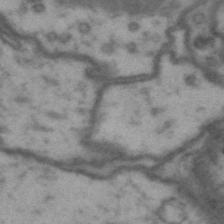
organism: Drosophila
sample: Brain